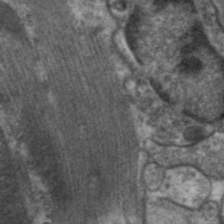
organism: C. elegans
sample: Pharynx